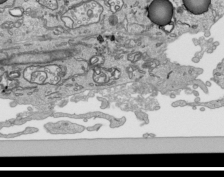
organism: Human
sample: Mitochondria in HCT116 cells